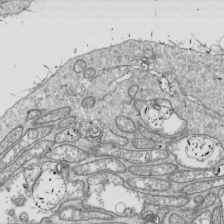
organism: Drosophila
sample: Cell division; meiosis; drosophila spermatocytes